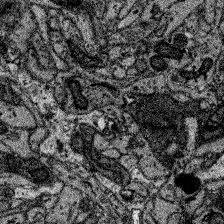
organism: Zebrafish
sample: Larval olfactory bulb